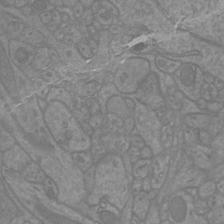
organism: Mouse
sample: Cortical neurons